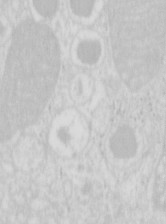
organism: Mouse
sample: Pancreas